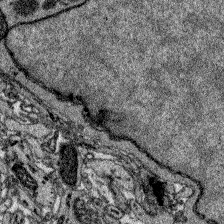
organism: Zebrafish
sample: Larval olfactory bulb